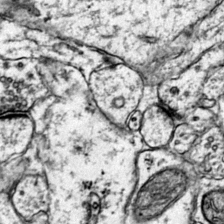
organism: Mouse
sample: Primary visual cortex